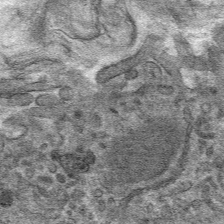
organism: Mouse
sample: Mouse hepatocytes